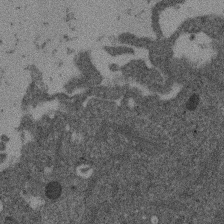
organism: Mouse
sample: Dividing mouse embryo 1 cell stage